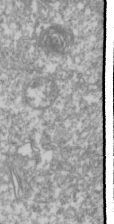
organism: Drosophila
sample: Cell division; meiosis; drosophila spermatocytes